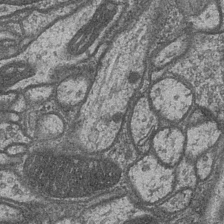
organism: Drosophila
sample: Optic medulla